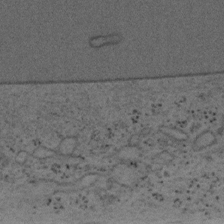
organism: Human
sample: HeLa cells